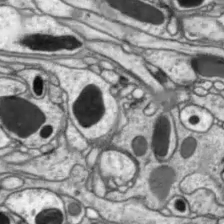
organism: Drosophila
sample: Optic lobe